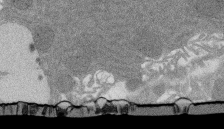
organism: Rat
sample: Salivary granule